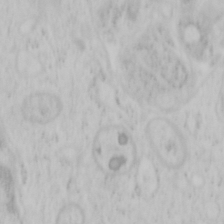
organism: Mouse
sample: OT-I killer T cells with ID8 ovarian cancer cells